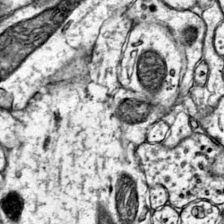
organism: Mouse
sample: Primary visual cortex